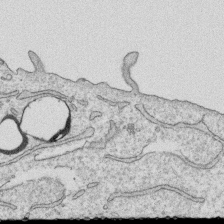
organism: Human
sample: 1205lu cells